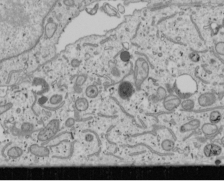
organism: Human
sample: Mitochondria in U2OS cells